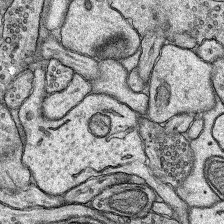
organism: Rat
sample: Hippocampus